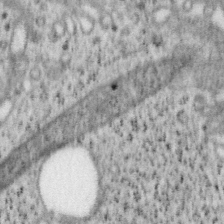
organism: Mouse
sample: OT-I killer T cells with ID8 ovarian cancer cells